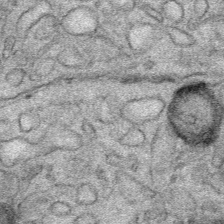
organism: Mouse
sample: Mouse Salivary gland